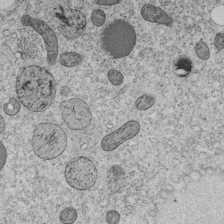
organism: C. elegans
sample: C. elegans embryo early stage